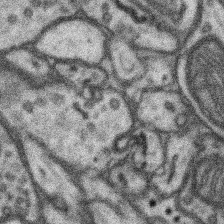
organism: Mouse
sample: Somatosensory cortex neuropil